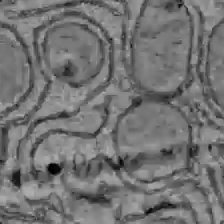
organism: C57BL Mouse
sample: Liver